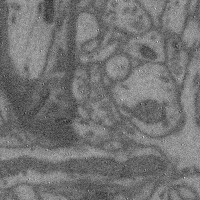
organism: Mouse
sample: Cerebral cortex